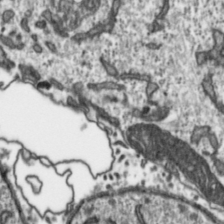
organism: Toxoplasma gondii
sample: Parasites in a vacuole inside a host cell